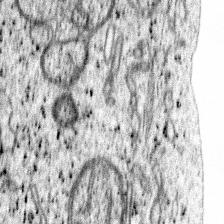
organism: Human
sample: HeLa cells